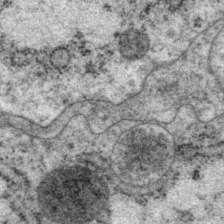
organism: P. pacificus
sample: Pharynx